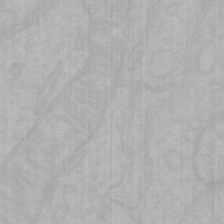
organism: Mouse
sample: Choroid plexus